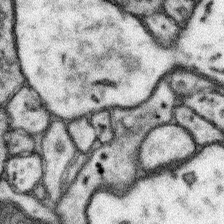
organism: Mouse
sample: Somatosensory cortex neuropil